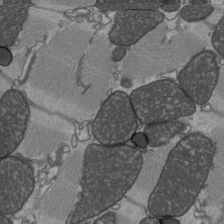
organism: C57BL Mouse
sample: Heart